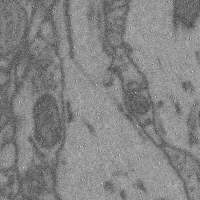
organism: Mouse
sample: Cerebral cortex